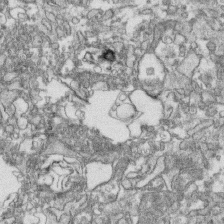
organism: Human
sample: CRL-1474